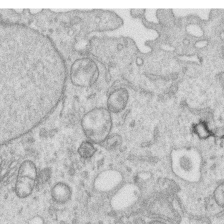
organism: Human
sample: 1205lu cells